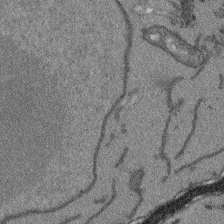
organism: Arabidopsis thaliana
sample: Root tip